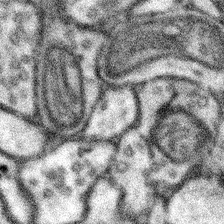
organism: Mouse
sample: Somatosensory cortex neuropil